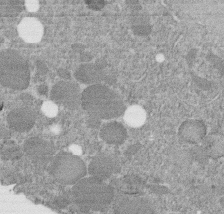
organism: C. elegans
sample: C. elegans embryo early stage